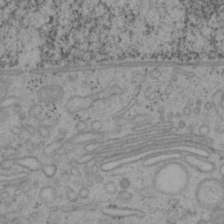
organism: Human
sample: HeLa cells